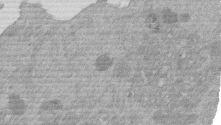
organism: Mouse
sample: Dividing mouse embryo 1 cell stage